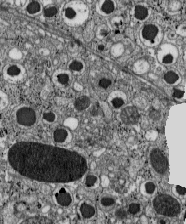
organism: C57BL Mouse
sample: Pancreatic islet